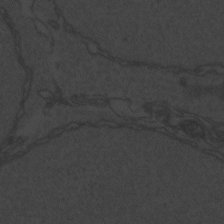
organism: Zebrafish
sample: Macrophage infected with Toxoplasma gondii